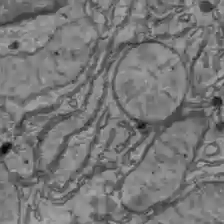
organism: C57BL Mouse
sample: Liver